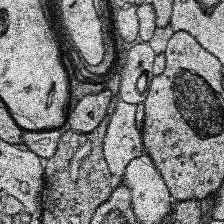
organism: Human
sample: Temporal Lobe